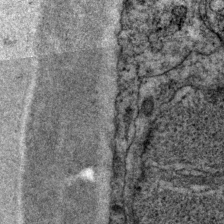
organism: P. pacificus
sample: Pharynx